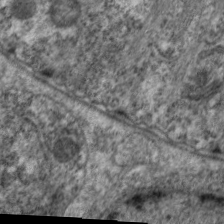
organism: C. elegans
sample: Pharynx